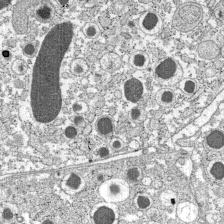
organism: C57BL Mouse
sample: Pancreatic islet